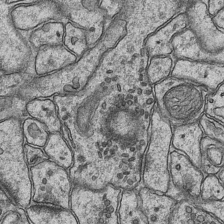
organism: Mouse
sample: CA1 Hippocampus